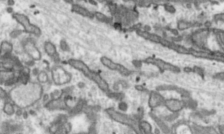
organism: Toxoplasma gondii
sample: Parasites in a vacuole inside a host cell